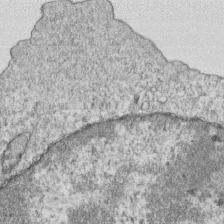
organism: Mouse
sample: Activated OT-1 CD8+ T cells